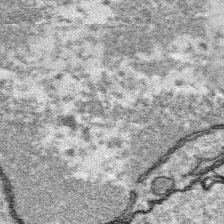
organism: Platynereis dumerilii